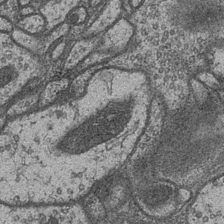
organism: Drosophila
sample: Optic medulla